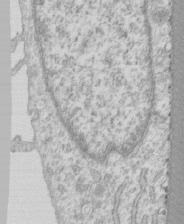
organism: Human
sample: CRL-1474